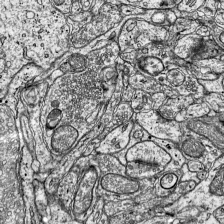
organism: Mouse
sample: Visual Cortex